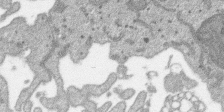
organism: Human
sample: Lung epithelial cells infected with SARS-CoV-2